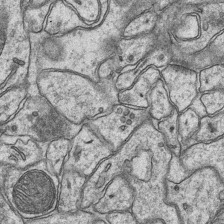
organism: Mouse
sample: CA1 Hippocampus